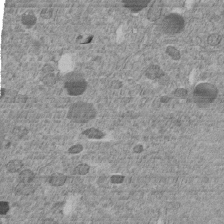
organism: C. elegans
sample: C. elegans embryo early stage